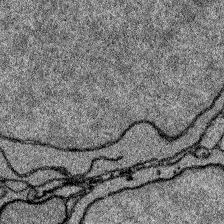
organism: Zebrafish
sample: Larval olfactory bulb